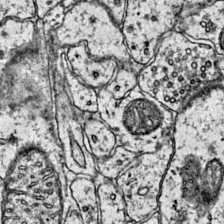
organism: Mouse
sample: Primary visual cortex